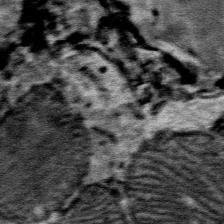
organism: Mouse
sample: Mouse Salivary gland